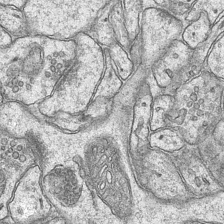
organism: Mouse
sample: CA1 Hippocampus